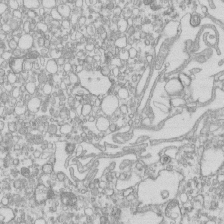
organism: Mouse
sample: Macrophages